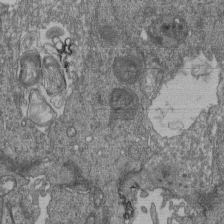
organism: Human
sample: Retinal organoid Rod and Cone cells